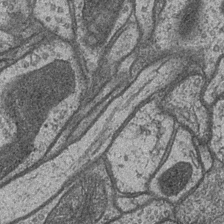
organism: Drosophila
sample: Optic medulla